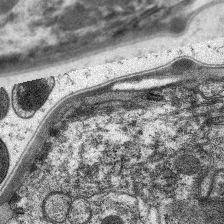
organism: C. elegans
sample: Pharynx